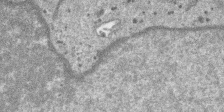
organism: Human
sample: Lung epithelial cells infected with SARS-CoV-2